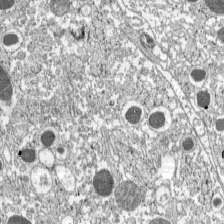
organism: C57BL Mouse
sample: Pancreatic islet